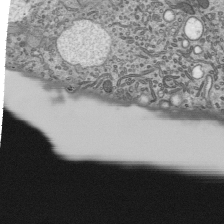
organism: Mouse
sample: Mouse epididymis efferent ductule cilia